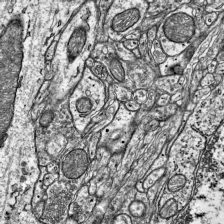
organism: Mouse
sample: Visual Cortex